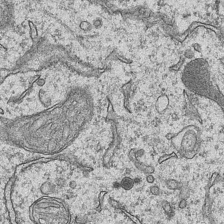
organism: Mouse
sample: CA1 Hippocampus